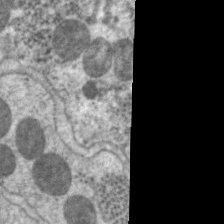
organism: C. elegans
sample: Pharynx